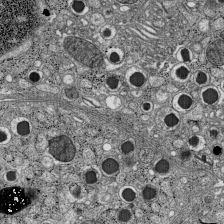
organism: C57BL Mouse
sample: Pancreatic islet